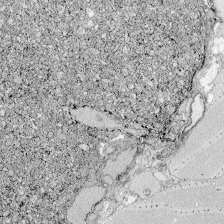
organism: Zebrafish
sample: Whole-Brain